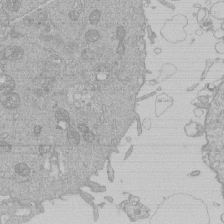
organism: Human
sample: Macrophage cells